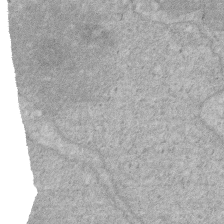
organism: Human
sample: HIV infected U937 cells